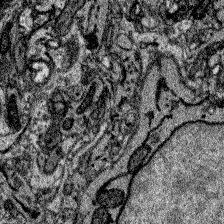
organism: Zebrafish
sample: Larval olfactory bulb